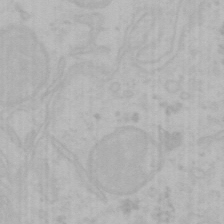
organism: Mouse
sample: Choroid plexus